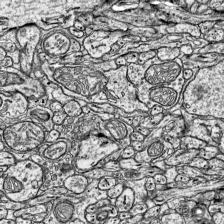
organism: Mouse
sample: Visual Cortex